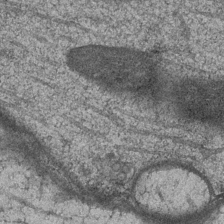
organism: Drosophila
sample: Optic medulla